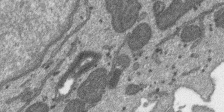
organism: Human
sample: Lung epithelial cells infected with SARS-CoV-2